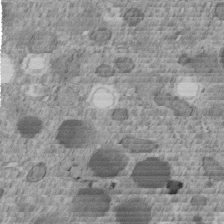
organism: C. elegans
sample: C. elegans embryo early stage